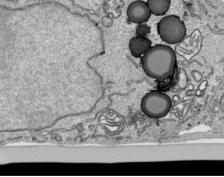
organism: Human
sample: Mitochondria in HCT116 cells